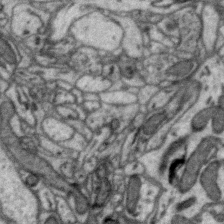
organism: Zebra finch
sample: Brain